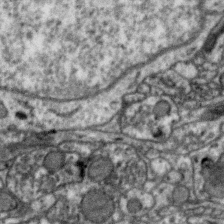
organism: Zebra finch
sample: Brain